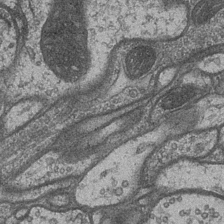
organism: Drosophila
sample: Optic medulla